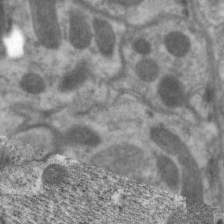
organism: C. elegans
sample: Pharynx